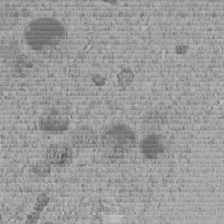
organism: C. elegans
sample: C. elegans embryo early stage